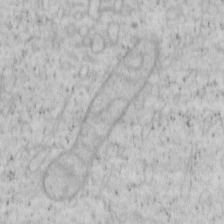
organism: Human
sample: HeLa cells